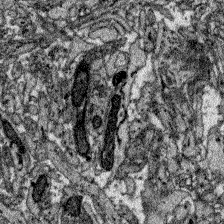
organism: Zebrafish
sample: Larval olfactory bulb